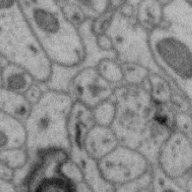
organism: Zebra finch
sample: Brain